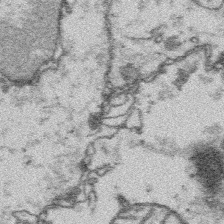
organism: Platynereis dumerilii